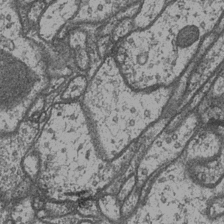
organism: Drosophila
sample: Optic medulla